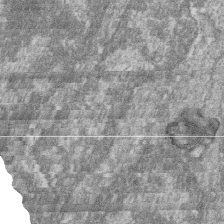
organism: Zebrafish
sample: Cilia; retinal pigment epithelium